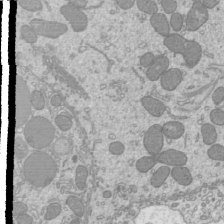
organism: Mouse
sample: Cilia; mouse epididymis